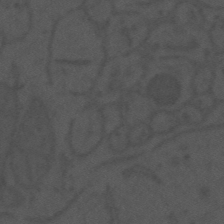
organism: Mouse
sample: Suprachiasmatic nucleus